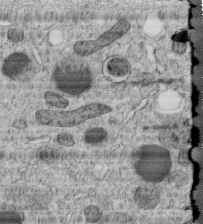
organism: C. elegans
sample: C. elegans embryo early stage